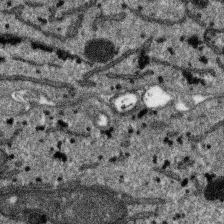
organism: Human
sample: Lung epithelial cells infected with SARS-CoV-2